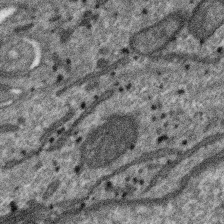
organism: Human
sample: Lung epithelial cells infected with SARS-CoV-2